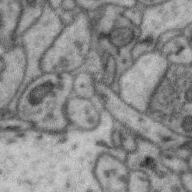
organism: Zebra finch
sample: Brain